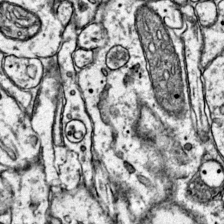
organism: Mouse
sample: Primary visual cortex